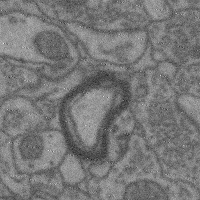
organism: Mouse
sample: Cerebral cortex